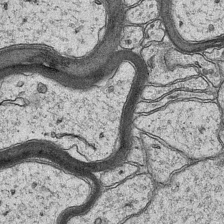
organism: Mouse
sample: CA1 Hippocampus